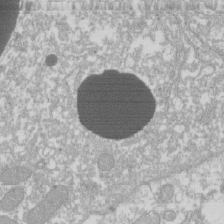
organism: Xenopus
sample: Cilia; centrioles in frog embryo cells